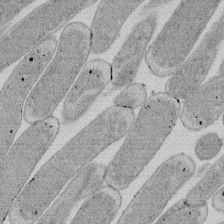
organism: E. coli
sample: Bacterial nucleoid